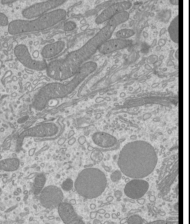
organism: Mouse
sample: Cilia; mouse epididymis